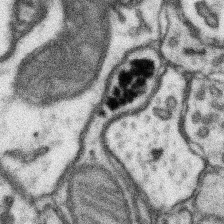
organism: Mouse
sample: Somatosensory cortex neuropil